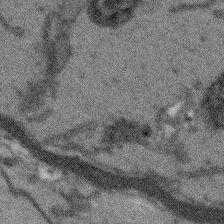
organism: Arabidopsis thaliana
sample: Root tip